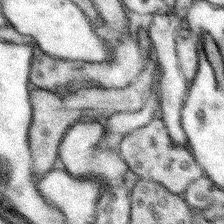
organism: Mouse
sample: Somatosensory cortex neuropil